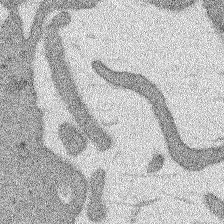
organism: Human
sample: HeLa cells